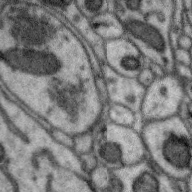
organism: Zebra finch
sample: Brain